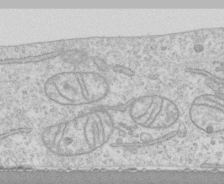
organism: Human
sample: CRL-1474